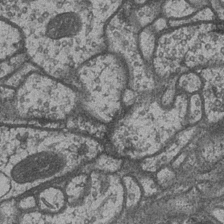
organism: Drosophila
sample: Optic medulla